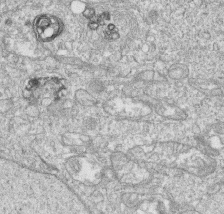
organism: Human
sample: HeLa cell HIV synapse